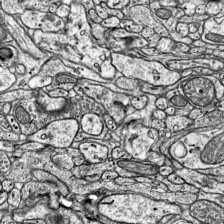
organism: Mouse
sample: Visual Cortex